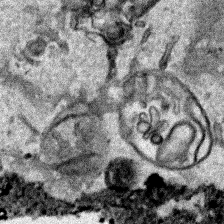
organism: Human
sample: Mitochondria in HCT116 cells